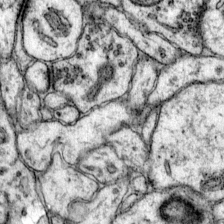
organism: Mouse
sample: Primary visual cortex